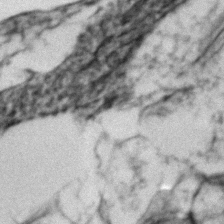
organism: Zebrafish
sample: Zebrafish embryo